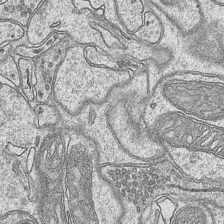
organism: Mouse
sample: CA1 Hippocampus